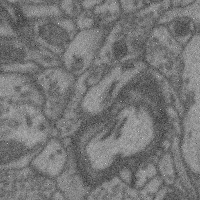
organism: Mouse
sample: Cerebral cortex